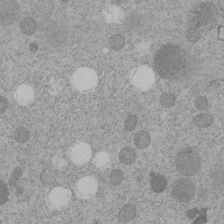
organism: C. elegans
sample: C. elegans embryo early stage